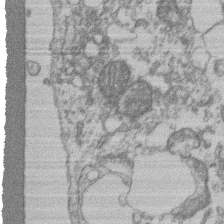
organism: Mouse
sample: T cell stromal cell synapse